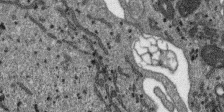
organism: Human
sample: Lung epithelial cells infected with SARS-CoV-2